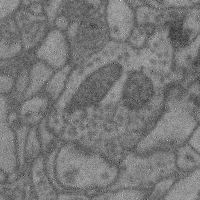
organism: Mouse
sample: Cerebral cortex